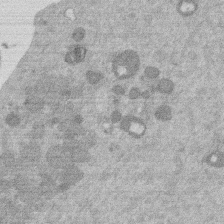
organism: Mouse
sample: Dividing mouse embryo 1 cell stage